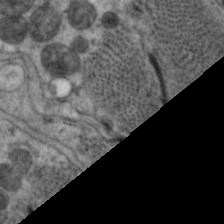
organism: C. elegans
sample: Pharynx